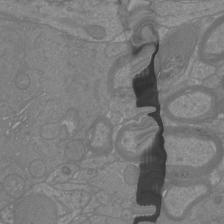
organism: Mouse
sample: Cortical neurons